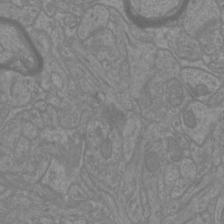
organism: Mouse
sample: Cortical neurons